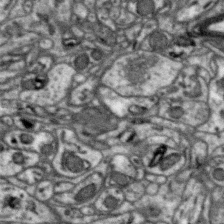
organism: Zebra finch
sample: Brain